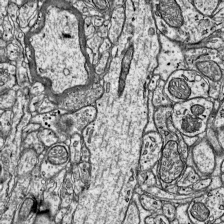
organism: Mouse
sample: Visual Cortex